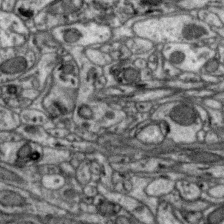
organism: Zebra finch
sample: Brain